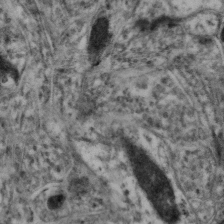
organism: Mouse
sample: Neocortex